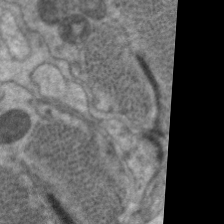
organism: C. elegans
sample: Pharynx